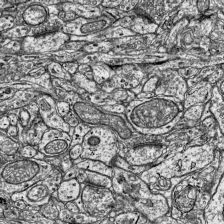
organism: Mouse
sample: Visual Cortex